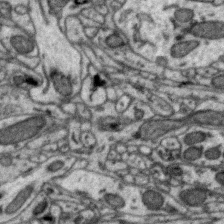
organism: Zebra finch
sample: Brain